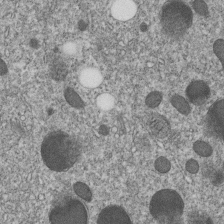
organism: C. elegans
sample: C. elegans embryo early stage